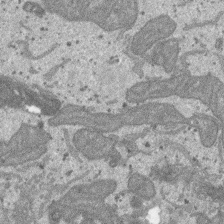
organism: Human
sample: Lung epithelial cells infected with SARS-CoV-2